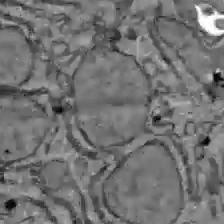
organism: C57BL Mouse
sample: Liver